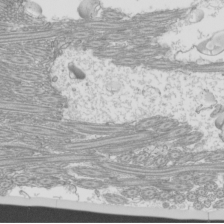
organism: Mouse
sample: Cilia; mouse epididymis